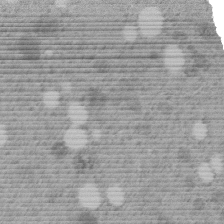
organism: C. elegans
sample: C. elegans embryo early stage